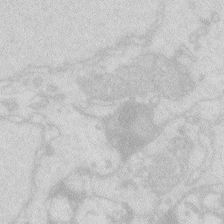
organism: Zebrafish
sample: Macrophage